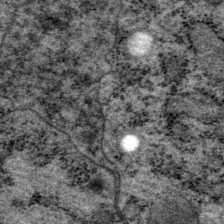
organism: P. pacificus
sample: Pharynx